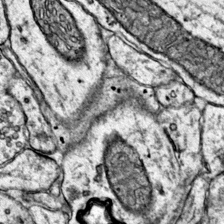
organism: Mouse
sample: Primary visual cortex